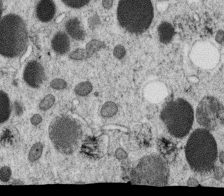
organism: C. elegans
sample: C. elegans oocyte; sperm cells